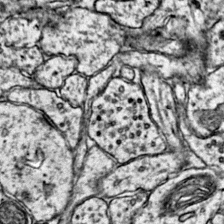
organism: Mouse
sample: Primary visual cortex